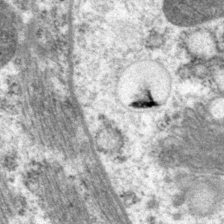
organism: P. pacificus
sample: Pharynx